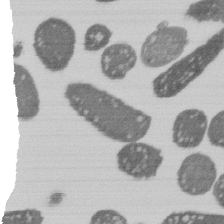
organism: E. coli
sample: Bacterial nucleoid